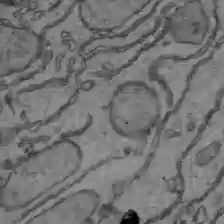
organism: C57BL Mouse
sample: Liver